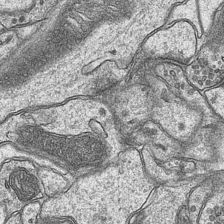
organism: Mouse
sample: CA1 Hippocampus